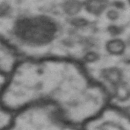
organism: Drosophila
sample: Brain